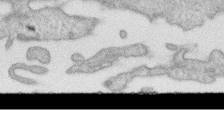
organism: Human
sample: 1205lu cells